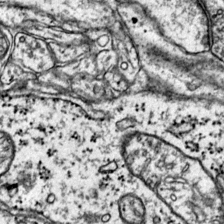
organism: Mouse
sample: Primary visual cortex